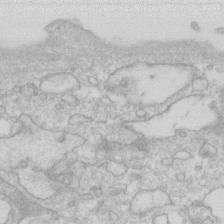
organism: Human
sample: Fibroblast cells